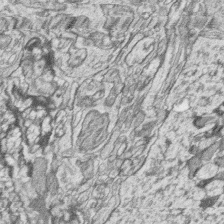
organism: Zebrafish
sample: synaptic ribbons in rod cells and cone cells